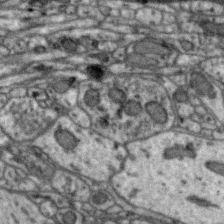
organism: Zebra finch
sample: Brain